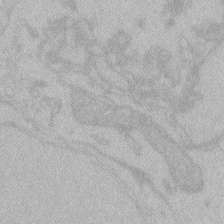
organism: Zebrafish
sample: Macrophage infected with Toxoplasma gondii